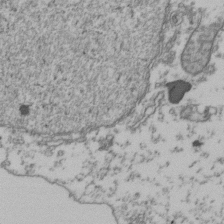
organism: Human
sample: Activated Jurkat CD4+ T cells